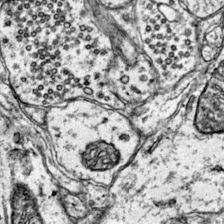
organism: Mouse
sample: Primary visual cortex